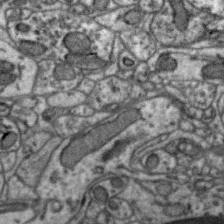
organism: Zebra finch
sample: Brain